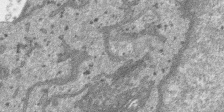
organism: Human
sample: Lung epithelial cells infected with SARS-CoV-2